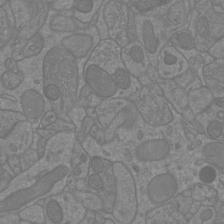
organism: Mouse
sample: Cortical neurons